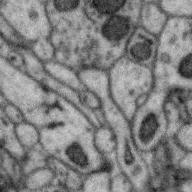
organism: Zebra finch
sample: Brain